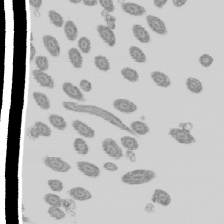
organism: Mouse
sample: Cilia; mouse epididymis